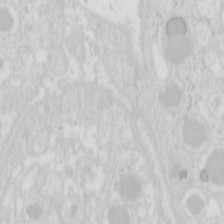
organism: Mouse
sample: Pancreas